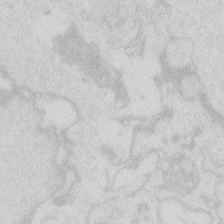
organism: Zebrafish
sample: Macrophage